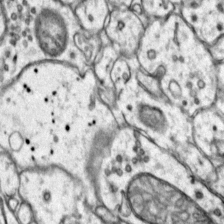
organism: Mouse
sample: Primary visual cortex